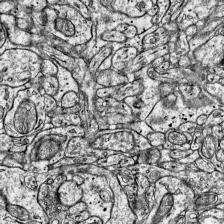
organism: Mouse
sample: Visual Cortex